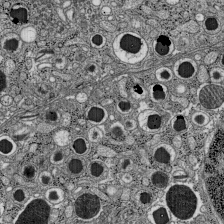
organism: C57BL Mouse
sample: Pancreatic islet